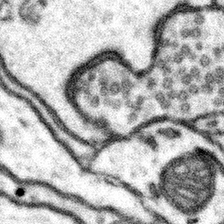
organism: Mouse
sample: Somatosensory cortex neuropil